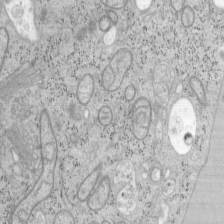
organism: Mouse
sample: OT-I killer T cells with ID8 ovarian cancer cells